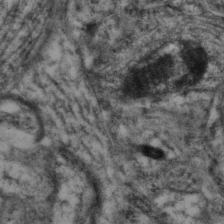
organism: Mouse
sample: Neocortex